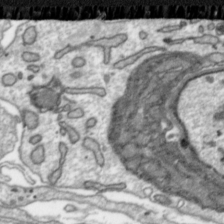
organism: Toxoplasma gondii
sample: Parasites in a vacuole inside a host cell